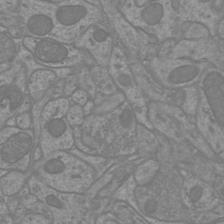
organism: Mouse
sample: Cortical neurons